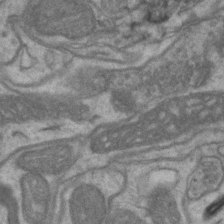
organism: Mouse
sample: CA1 Hippocampus